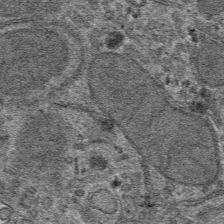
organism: Mouse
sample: Mouse hepatocytes